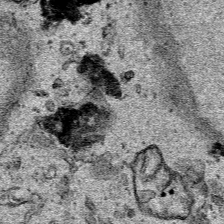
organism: Human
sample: Mitochondria in HCT116 cells